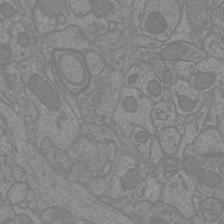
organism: Mouse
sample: Cortical neurons